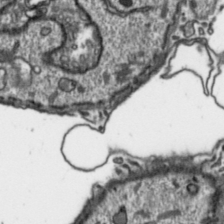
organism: Toxoplasma gondii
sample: Parasites in a vacuole inside a host cell